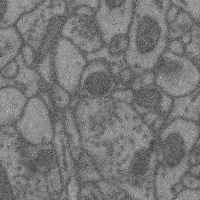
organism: Mouse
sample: Cerebral cortex